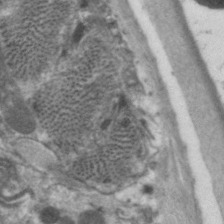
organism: C. elegans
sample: Pharynx